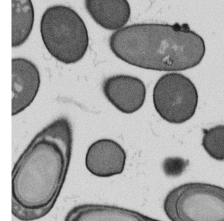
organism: B. subtilis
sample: Bacterial spore